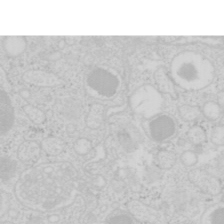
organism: Mouse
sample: Pancreas